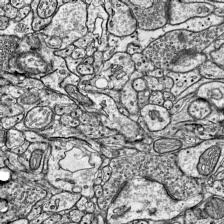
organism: Mouse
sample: Visual Cortex